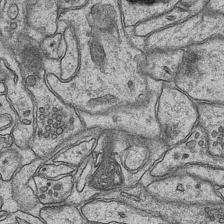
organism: Mouse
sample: CA1 Hippocampus